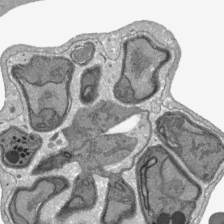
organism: Plasmodium falciparum